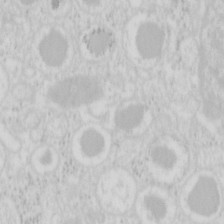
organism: Mouse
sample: Pancreas